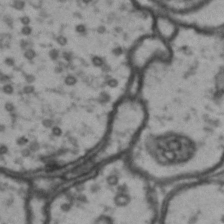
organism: Drosophila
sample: Brain